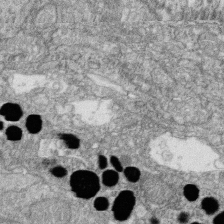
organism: Zebrafish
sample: Cilia; retinal pigment epithelium